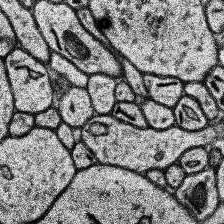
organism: Human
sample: Temporal Lobe